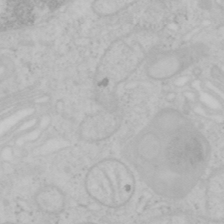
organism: Mouse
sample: OT-I killer T cells with ID8 ovarian cancer cells